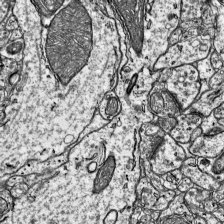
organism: Mouse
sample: Visual Cortex